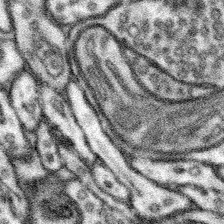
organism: Mouse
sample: Somatosensory cortex neuropil